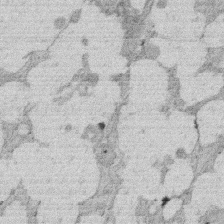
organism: Rat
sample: Salivary granule